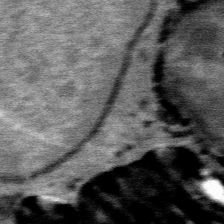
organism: Mouse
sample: Mouse Salivary gland